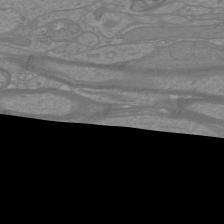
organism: Mouse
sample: Cortical neurons